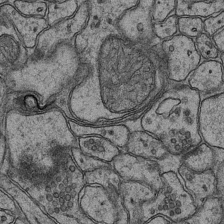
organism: Mouse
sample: CA1 Hippocampus